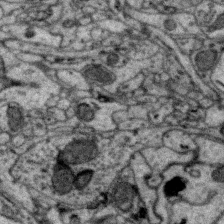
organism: Zebra finch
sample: Brain